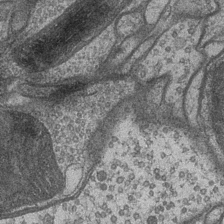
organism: Drosophila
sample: Optic medulla